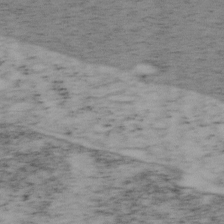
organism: Mouse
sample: OT-I killer T cells with ID8 ovarian cancer cells